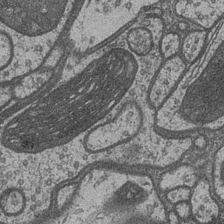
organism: Drosophila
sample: Optic medulla